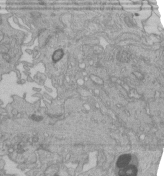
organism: Human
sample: Retinal organoid Rod and Cone cells